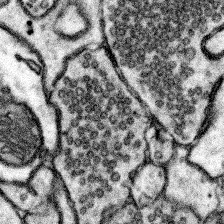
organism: Mouse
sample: Somatosensory cortex neuropil